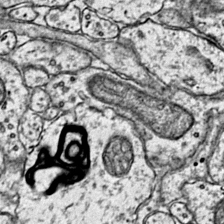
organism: Mouse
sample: Primary visual cortex